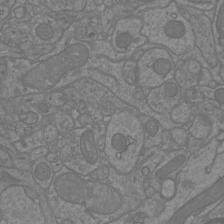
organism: Mouse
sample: Cortical neurons